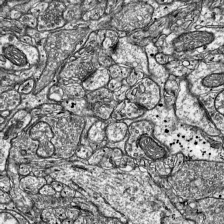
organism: Mouse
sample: Visual Cortex